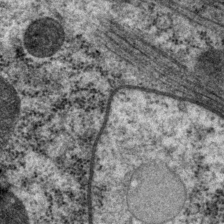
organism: P. pacificus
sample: Pharynx